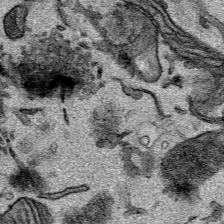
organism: Mouse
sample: Cancer cell death in ED-1 cells